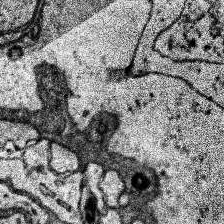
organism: Human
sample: Temporal Lobe